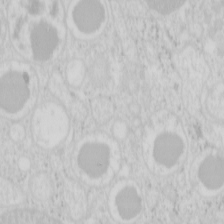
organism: Mouse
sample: Pancreas